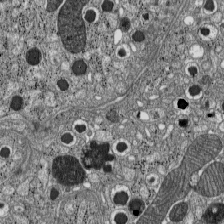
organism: C57BL Mouse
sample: Pancreatic islet